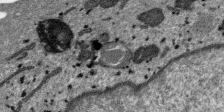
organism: Human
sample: Lung epithelial cells, uninfected (mock) control